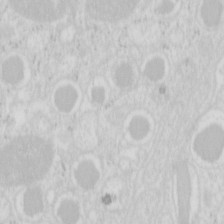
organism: Mouse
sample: Pancreas